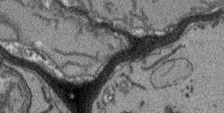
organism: Arabidopsis thaliana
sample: Root tip